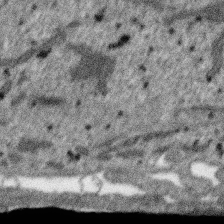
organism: Human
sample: Lung epithelial cells infected with SARS-CoV-2